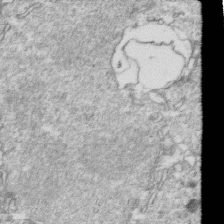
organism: Mouse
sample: Activated OT-1 CD8+ T cells